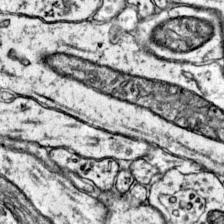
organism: Mouse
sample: Primary visual cortex